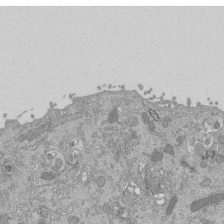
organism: Mouse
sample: ED-1 cell nuclei; centrioles